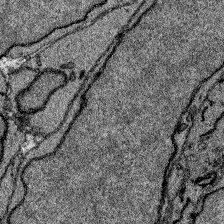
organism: Zebrafish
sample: Larval olfactory bulb